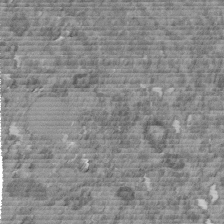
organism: C. elegans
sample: C. elegans embryo early stage